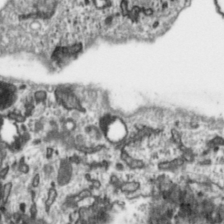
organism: Toxoplasma gondii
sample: Parasites in a vacuole inside a host cell